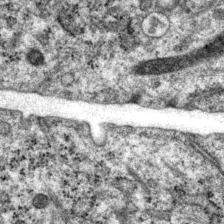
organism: P. pacificus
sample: Pharynx